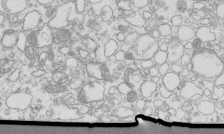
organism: Mouse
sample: Macrophages